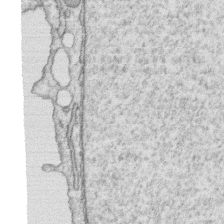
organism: Human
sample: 1205lu cells